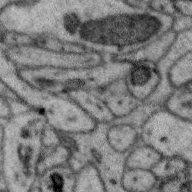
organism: Zebra finch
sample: Brain